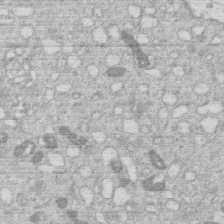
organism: Human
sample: Macrophage cells